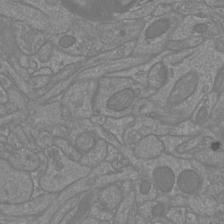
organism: Mouse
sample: Cortical neurons